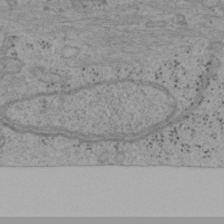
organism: Human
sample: HeLa cells